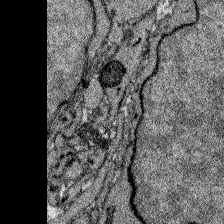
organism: Zebrafish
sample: Larval olfactory bulb